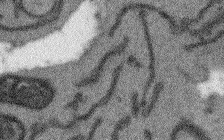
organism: Arabidopsis thaliana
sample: Root tip